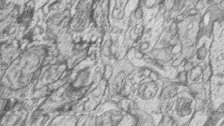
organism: Zebrafish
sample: synaptic ribbons in rod cells and cone cells